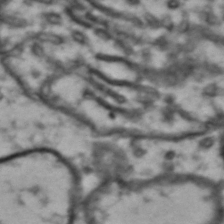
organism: Drosophila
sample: Brain